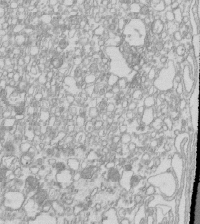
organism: Mouse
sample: Macrophages